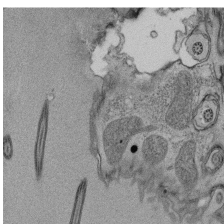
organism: Tetrahymena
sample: Cilia in tetrahymena